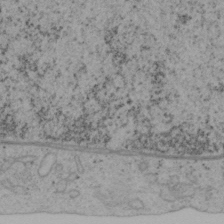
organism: Human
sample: HeLa cells